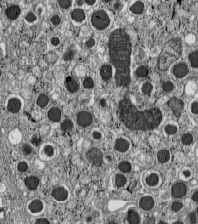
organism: C57BL Mouse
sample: Pancreatic islet